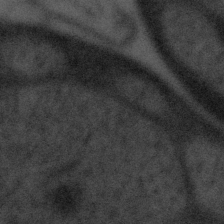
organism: Tuwongella immobilis